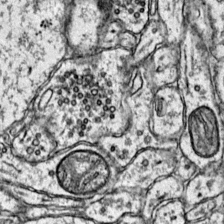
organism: Mouse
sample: Primary visual cortex